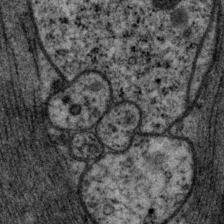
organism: P. pacificus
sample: Pharynx